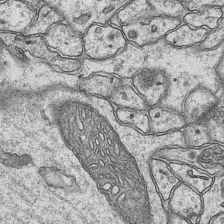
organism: Mouse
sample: CA1 Hippocampus